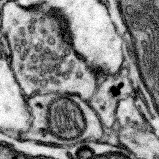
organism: Mouse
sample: Somatosensory cortex neuropil